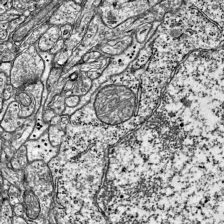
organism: Mouse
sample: Visual Cortex